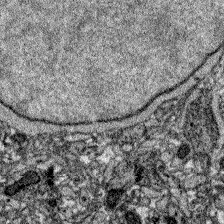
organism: Zebrafish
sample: Larval olfactory bulb